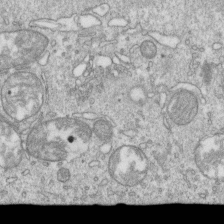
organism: Mouse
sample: Activated OT-1 CD8+ T cells